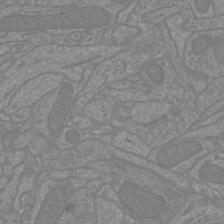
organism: Mouse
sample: Cortical neurons